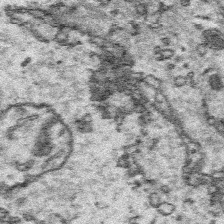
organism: Platynereis dumerilii